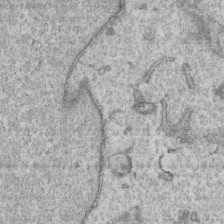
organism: Human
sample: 1205lu cells